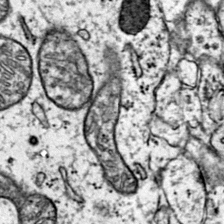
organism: Mouse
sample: Primary visual cortex